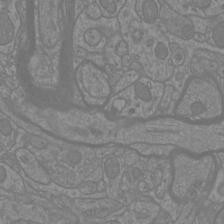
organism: Mouse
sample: Cortical neurons